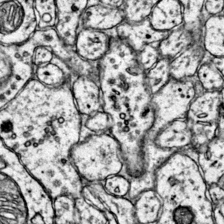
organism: Mouse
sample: Primary visual cortex